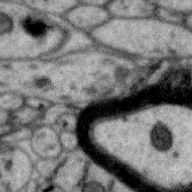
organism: Zebra finch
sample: Brain